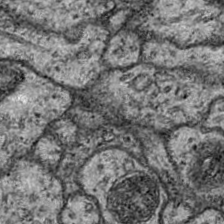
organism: Drosophila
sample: Ventral Nerve Cord